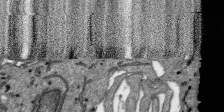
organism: Human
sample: Lung epithelial cells, uninfected (mock) control